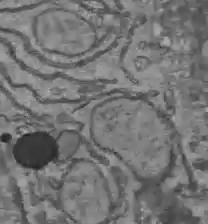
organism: C57BL Mouse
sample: Liver